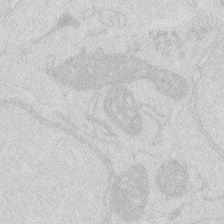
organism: Zebrafish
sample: Macrophage